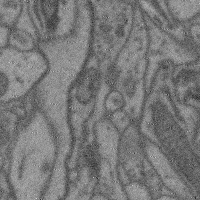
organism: Mouse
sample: Cerebral cortex